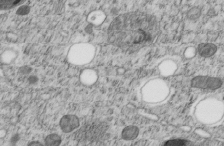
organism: C. elegans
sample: C. elegans embryo early stage